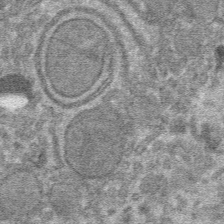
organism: Mouse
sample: Mouse hepatocytes